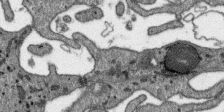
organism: Human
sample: Lung epithelial cells, uninfected (mock) control